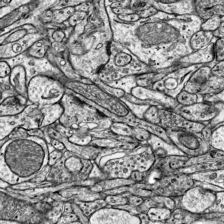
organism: Mouse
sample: Visual Cortex